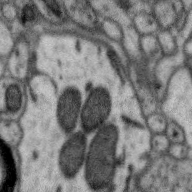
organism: Zebra finch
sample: Brain